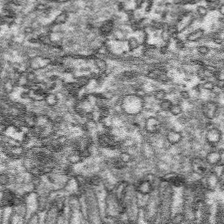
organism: Platynereis dumerilii